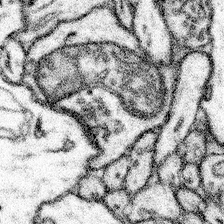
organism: Mouse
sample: Somatosensory cortex neuropil